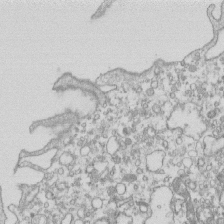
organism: Mouse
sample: Macrophages